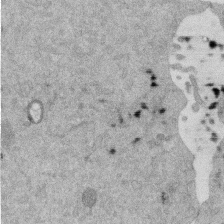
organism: Mouse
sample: Dividing mouse embryo 1 cell stage